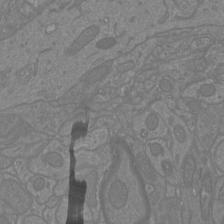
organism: Mouse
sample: Cortical neurons